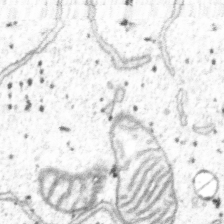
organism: Human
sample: HeLa cells